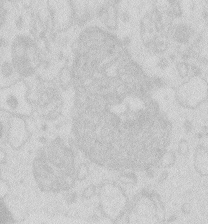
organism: Zebrafish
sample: Macrophage